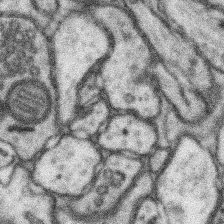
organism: Mouse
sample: Somatosensory cortex neuropil